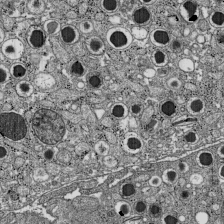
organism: C57BL Mouse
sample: Pancreatic islet